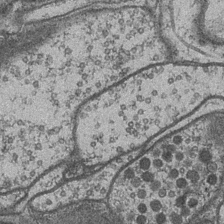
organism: Drosophila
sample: Optic medulla